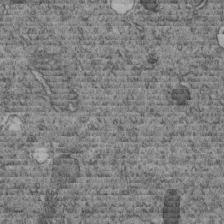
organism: C. elegans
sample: C. elegans embryo early stage